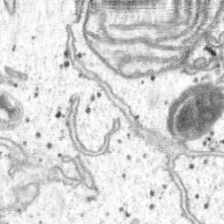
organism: Human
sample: HeLa cells